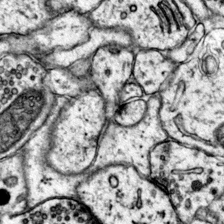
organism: Mouse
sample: Primary visual cortex